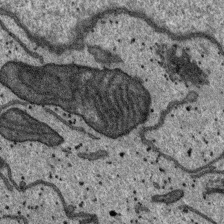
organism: Human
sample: Lung epithelial cells, uninfected (mock) control